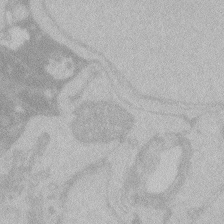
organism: Zebrafish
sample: Macrophage infected with Toxoplasma gondii